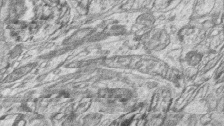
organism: Zebrafish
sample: synaptic ribbons in rod cells and cone cells